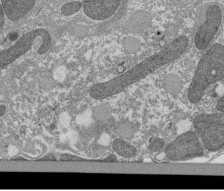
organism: Tetrahymena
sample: Cilia in tetrahymena